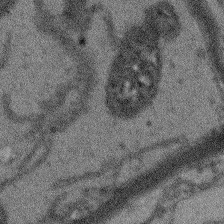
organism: Arabidopsis thaliana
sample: Root tip